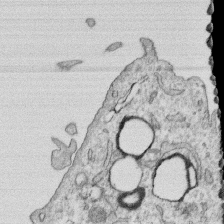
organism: Human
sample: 1205lu cells